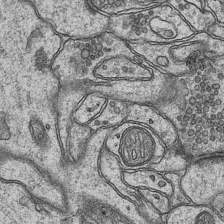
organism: Mouse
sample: CA1 Hippocampus